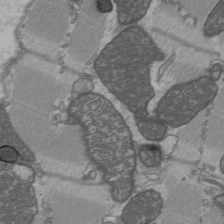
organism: C57BL Mouse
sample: Heart